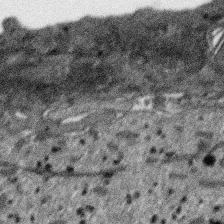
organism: Human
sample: Lung epithelial cells infected with SARS-CoV-2